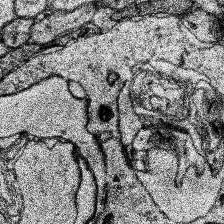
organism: Human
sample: Temporal Lobe